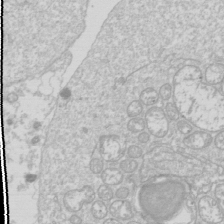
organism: Drosophila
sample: Cell division; meiosis; drosophila spermatocytes